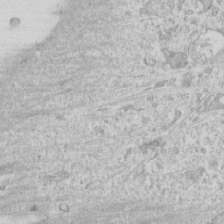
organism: Human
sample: Fibroblast cells